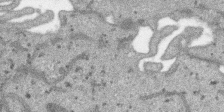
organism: Human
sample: Lung epithelial cells infected with SARS-CoV-2